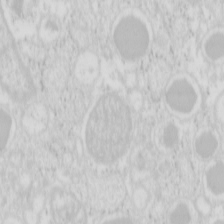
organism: Mouse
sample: Pancreas